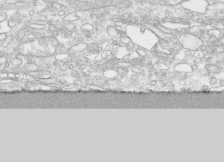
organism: Human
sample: CRL-1474